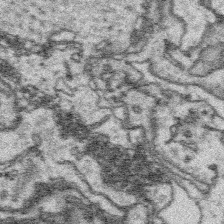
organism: Platynereis dumerilii